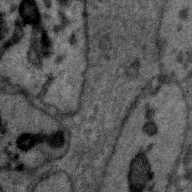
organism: Zebra finch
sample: Brain